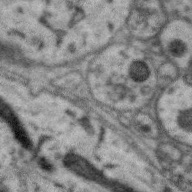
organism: Zebra finch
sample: Brain